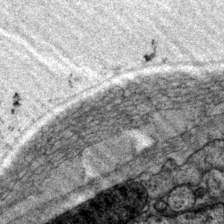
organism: P. pacificus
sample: Pharynx